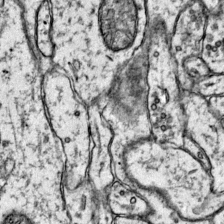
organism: Mouse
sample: Primary visual cortex